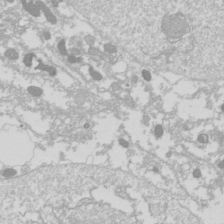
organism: Drosophila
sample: Cell division; meiosis; drosophila spermatocytes